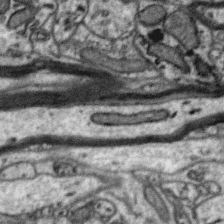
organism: Zebra finch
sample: Brain